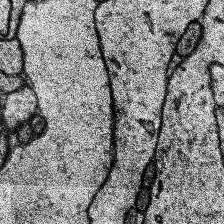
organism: Human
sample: Temporal Lobe